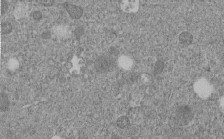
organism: C. elegans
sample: C. elegans embryo early stage